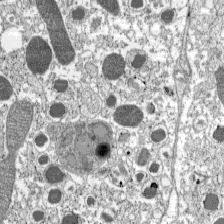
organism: C57BL Mouse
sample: Pancreatic islet